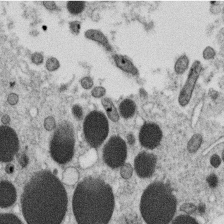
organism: C. elegans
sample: C. elegans oocyte; sperm cells